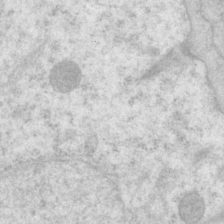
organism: P. pacificus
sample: Pharynx